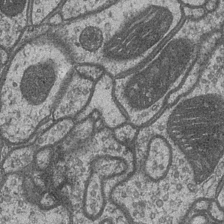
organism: Drosophila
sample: Optic medulla